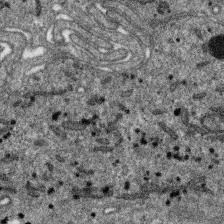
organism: Human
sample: Lung epithelial cells infected with SARS-CoV-2